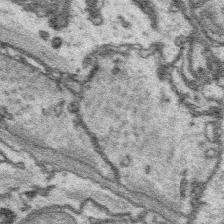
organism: Platynereis dumerilii